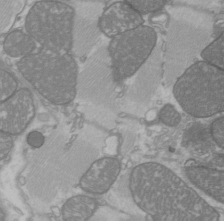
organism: C57BL Mouse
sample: Heart